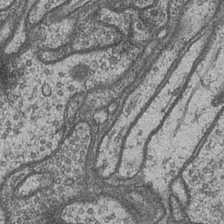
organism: Drosophila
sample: Optic medulla